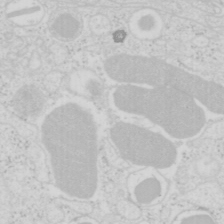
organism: Mouse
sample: Pancreas